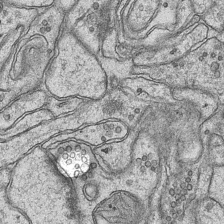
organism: Mouse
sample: CA1 Hippocampus